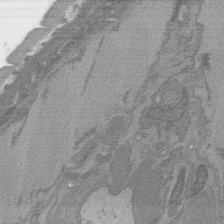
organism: C. elegans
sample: AFD neurons C. elegans